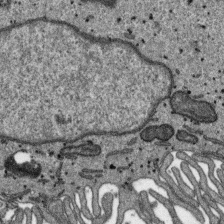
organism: Human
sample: Lung epithelial cells, uninfected (mock) control